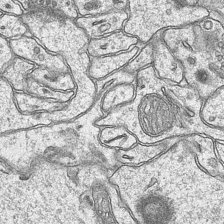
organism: Mouse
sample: CA1 Hippocampus